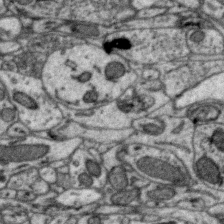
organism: Zebra finch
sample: Brain